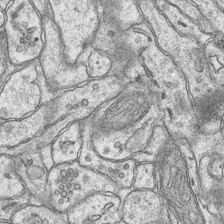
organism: Mouse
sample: CA1 Hippocampus